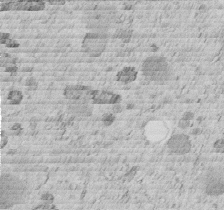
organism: C. elegans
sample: C. elegans embryo early stage